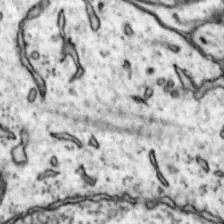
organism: Mouse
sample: Nucleus accumbens